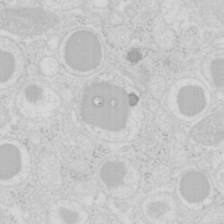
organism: Mouse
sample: Pancreas